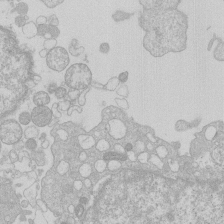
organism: Human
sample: Macrophage cells